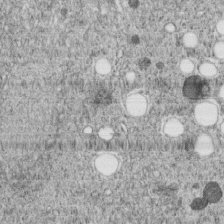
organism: C. elegans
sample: C. elegans embryo early stage